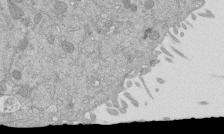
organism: Mouse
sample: ED-1 cell nuclei; centrioles